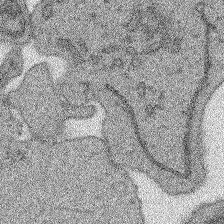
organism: Human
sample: HeLa cells